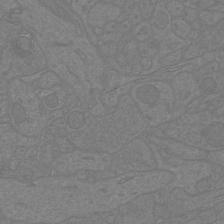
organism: Mouse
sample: Cortical neurons